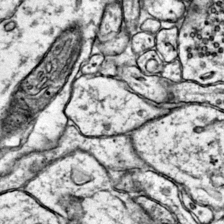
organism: Mouse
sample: Primary visual cortex